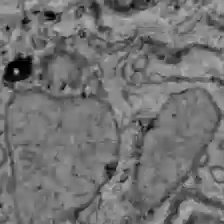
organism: C57BL Mouse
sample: Liver